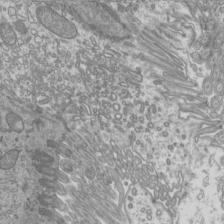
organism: Mouse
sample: Cilia; mouse epididymis